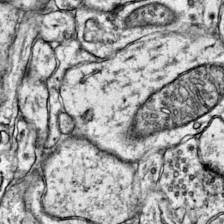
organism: Mouse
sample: Primary visual cortex